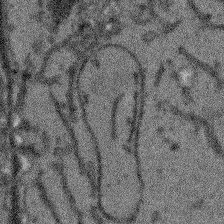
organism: Arabidopsis thaliana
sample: Root tip